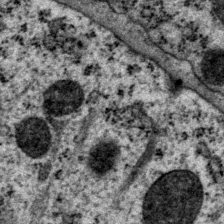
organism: P. pacificus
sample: Pharynx